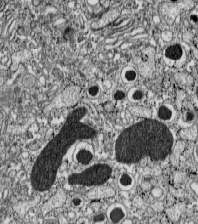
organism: C57BL Mouse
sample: Pancreatic islet